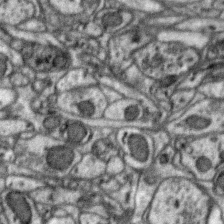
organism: Zebra finch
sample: Brain